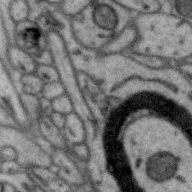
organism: Zebra finch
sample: Brain